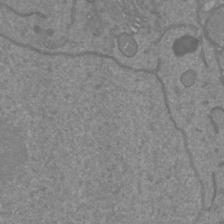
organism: Mouse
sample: Cortical neurons